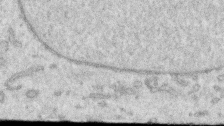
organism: Human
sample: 1205lu cells